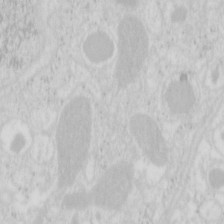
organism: Mouse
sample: Pancreas